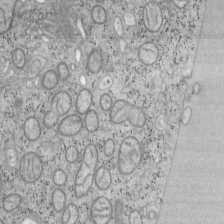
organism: Mouse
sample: OT-I killer T cells with ID8 ovarian cancer cells